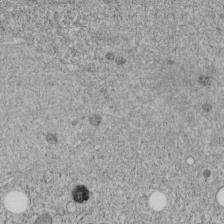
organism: C. elegans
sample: C. elegans embryo early stage